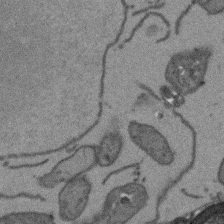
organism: Arabidopsis thaliana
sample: Root tip